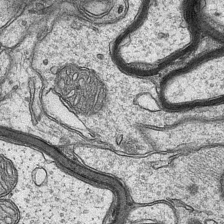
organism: Mouse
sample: CA1 Hippocampus